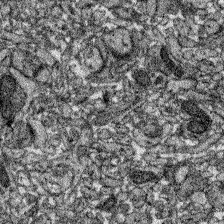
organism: Zebrafish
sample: Larval olfactory bulb